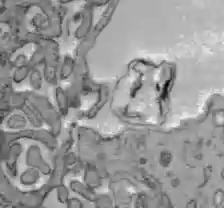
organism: C57BL Mouse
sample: Liver